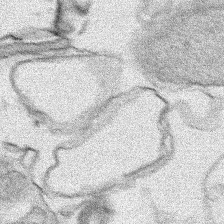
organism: Human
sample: Mitochondria in HCT116 cells